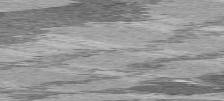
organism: C57BL Mouse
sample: Heart